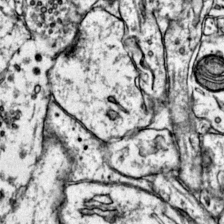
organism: Mouse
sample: Primary visual cortex